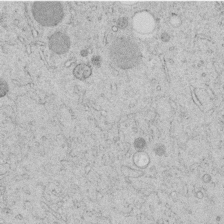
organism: C. elegans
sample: C. elegans embryo early stage